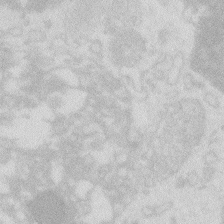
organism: Zebrafish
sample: Macrophage